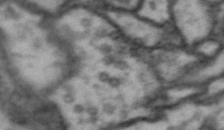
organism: Drosophila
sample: Brain